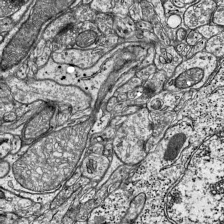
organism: Mouse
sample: Visual Cortex